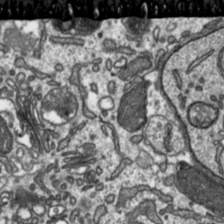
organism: Toxoplasma gondii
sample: Parasites in a vacuole inside a host cell